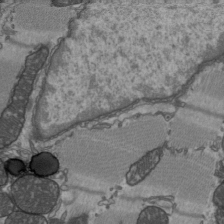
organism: C57BL Mouse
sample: Heart